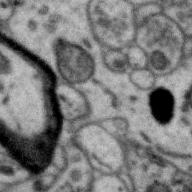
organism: Zebra finch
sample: Brain